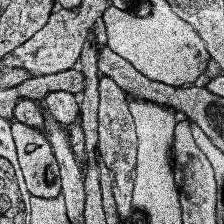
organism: Human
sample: Temporal Lobe